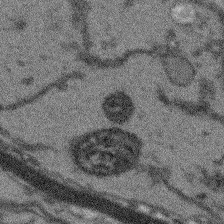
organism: Arabidopsis thaliana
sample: Root tip